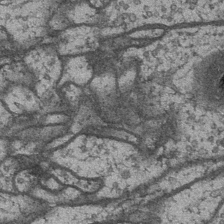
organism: Drosophila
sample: Optic medulla